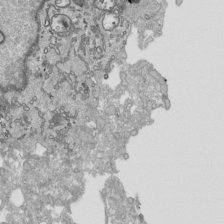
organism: Human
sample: Mitochondria in HCT116 cells